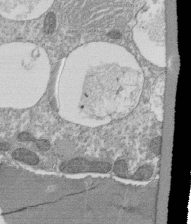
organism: Tetrahymena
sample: Cilia in tetrahymena